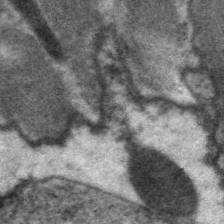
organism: C. elegans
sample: Pharynx